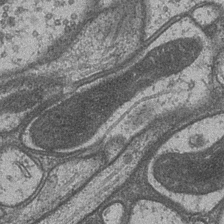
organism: Drosophila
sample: Optic medulla